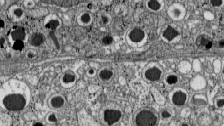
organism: C57BL Mouse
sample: Pancreatic islet